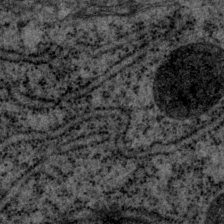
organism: P. pacificus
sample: Pharynx